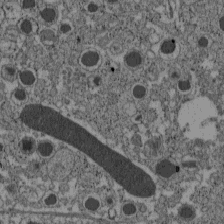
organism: C57BL Mouse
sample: Pancreatic islet